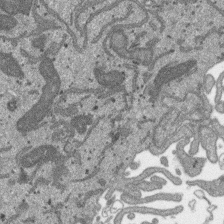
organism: Human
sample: Lung epithelial cells infected with SARS-CoV-2